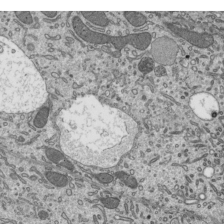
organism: Mouse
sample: Mouse epididymis efferent ductule cilia